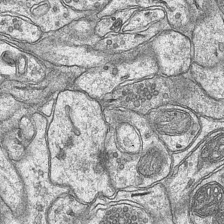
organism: Mouse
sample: CA1 Hippocampus